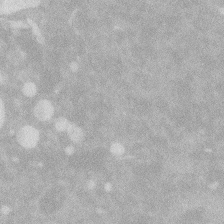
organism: Zebrafish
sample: Macrophage